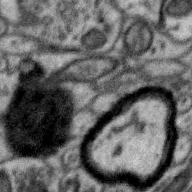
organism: Zebra finch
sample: Brain